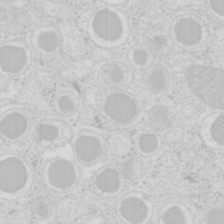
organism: Mouse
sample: Pancreas